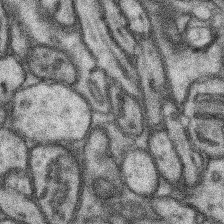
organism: Mouse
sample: Somatosensory cortex neuropil